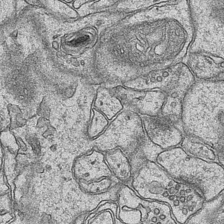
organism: Mouse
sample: CA1 Hippocampus